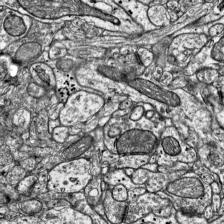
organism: Mouse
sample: Visual Cortex